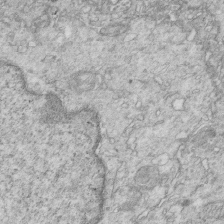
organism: Mouse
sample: Multiciliated cells